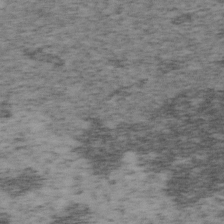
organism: Mouse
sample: OT-I killer T cells with ID8 ovarian cancer cells